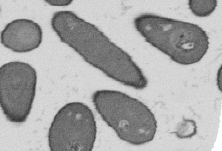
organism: B. subtilis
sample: Bacterial spore